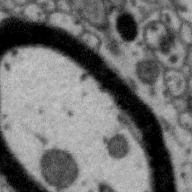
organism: Zebra finch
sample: Brain